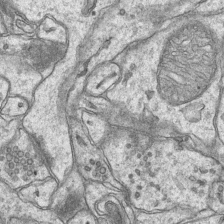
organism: Mouse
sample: CA1 Hippocampus